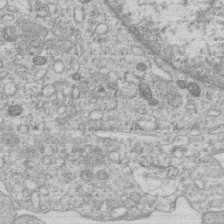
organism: Human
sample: Macrophage cells